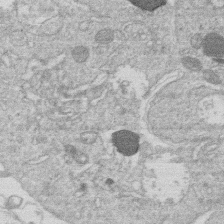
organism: Human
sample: Macrophage cells